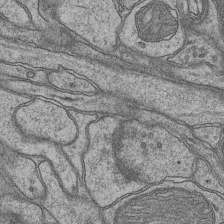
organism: Mouse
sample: CA1 Hippocampus